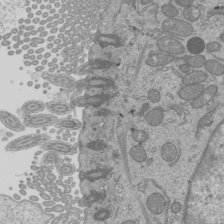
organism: Mouse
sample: Cilia; mouse epididymis